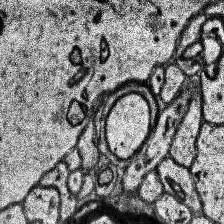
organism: Human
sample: Temporal Lobe